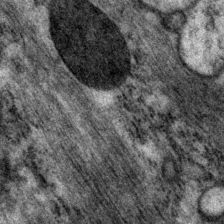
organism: P. pacificus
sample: Pharynx